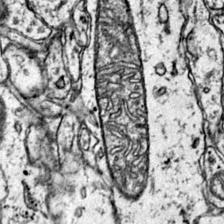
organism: Mouse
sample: Primary visual cortex